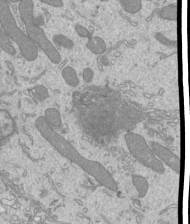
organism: Mouse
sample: Cilia; mouse epididymis